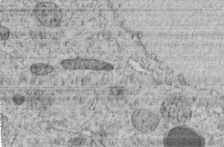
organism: C. elegans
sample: C. elegans embryo early stage